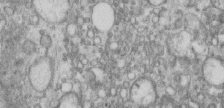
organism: Human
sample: Centriole in RPE cells